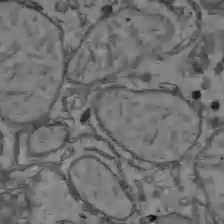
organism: C57BL Mouse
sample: Liver